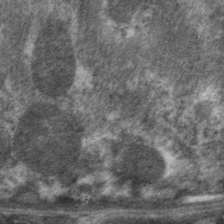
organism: C. elegans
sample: Pharynx